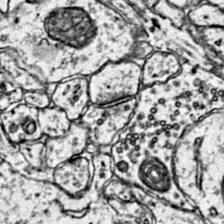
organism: Mouse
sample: Primary visual cortex